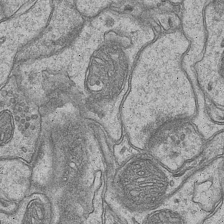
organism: Mouse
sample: CA1 Hippocampus